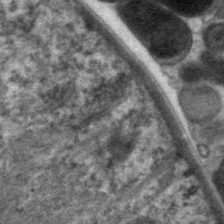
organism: C. elegans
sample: Pharynx